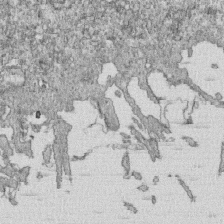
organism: Human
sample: HeLa cell HIV synapse